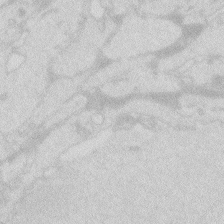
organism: Zebrafish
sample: Macrophage